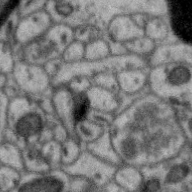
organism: Zebra finch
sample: Brain